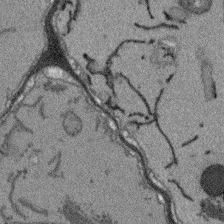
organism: Arabidopsis thaliana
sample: Root tip